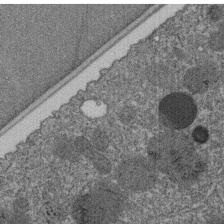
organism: C. elegans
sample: C. elegans embryo early stage